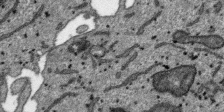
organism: Human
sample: Lung epithelial cells, uninfected (mock) control